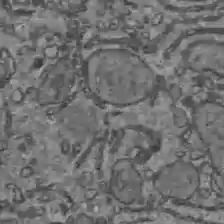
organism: C57BL Mouse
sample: Liver